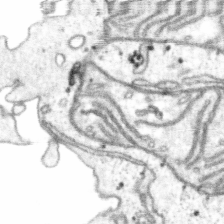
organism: Human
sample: HeLa cells